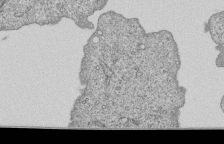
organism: Human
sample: MDA-MB-231 cells